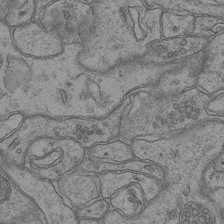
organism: Mouse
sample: CA1 Hippocampus